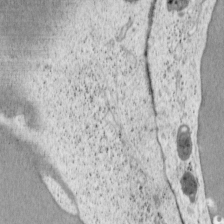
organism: African green monkey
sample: COS-7 cells